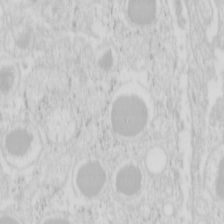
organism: Mouse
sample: Pancreas